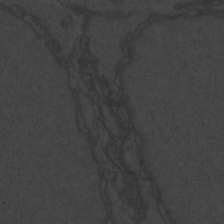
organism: Zebrafish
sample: Macrophage infected with Toxoplasma gondii